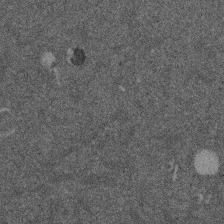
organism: Mouse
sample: Dividing mouse embryo 1 cell stage